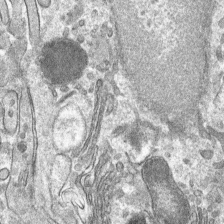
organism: Mouse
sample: Mouse hepatocytes